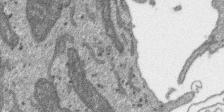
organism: Human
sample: Lung epithelial cells infected with SARS-CoV-2